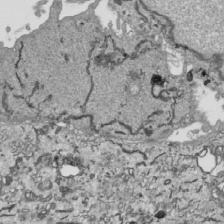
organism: Human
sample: Mitochondria in HCT116 cells